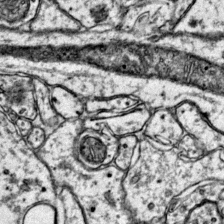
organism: Mouse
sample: Primary visual cortex